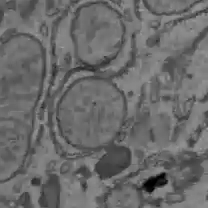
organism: C57BL Mouse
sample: Liver